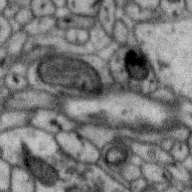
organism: Zebra finch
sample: Brain